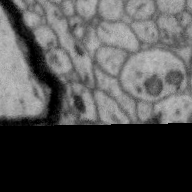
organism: Zebra finch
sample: Brain